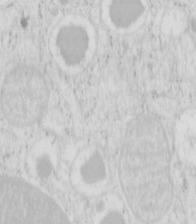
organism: Mouse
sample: Pancreas